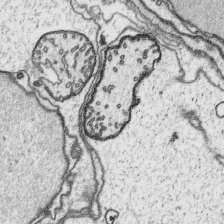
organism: Platynereis dumerilii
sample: Parapodia